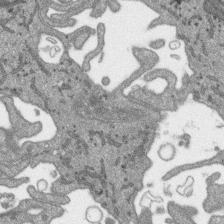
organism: Human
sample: Lung epithelial cells infected with SARS-CoV-2